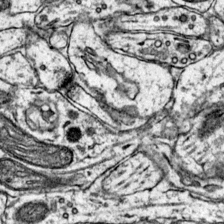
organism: Mouse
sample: Primary visual cortex